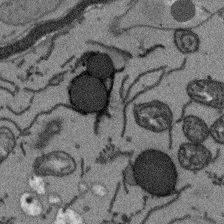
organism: Arabidopsis thaliana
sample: Root tip